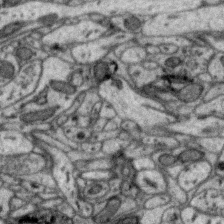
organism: Zebra finch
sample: Brain